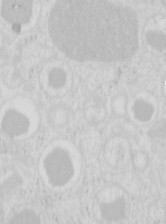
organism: Mouse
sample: Pancreas